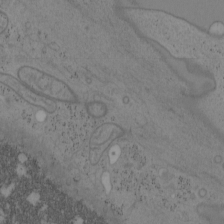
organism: Mouse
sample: OT-I killer T cells with ID8 ovarian cancer cells